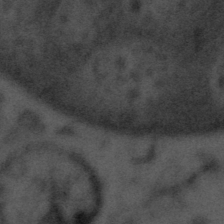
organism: Tuwongella immobilis